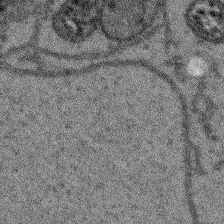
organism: Arabidopsis thaliana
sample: Root tip